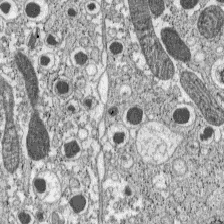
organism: C57BL Mouse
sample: Pancreatic islet